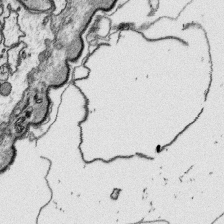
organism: Platynereis dumerilii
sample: Parapodia